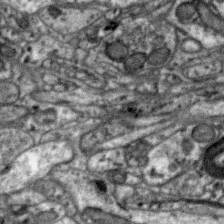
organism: Zebra finch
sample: Brain